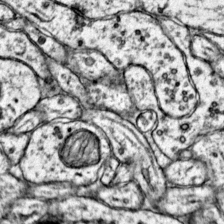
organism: Mouse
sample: Primary visual cortex